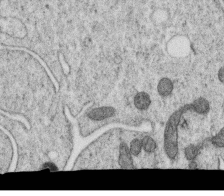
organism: C. elegans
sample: C. elegans oocyte; sperm cells